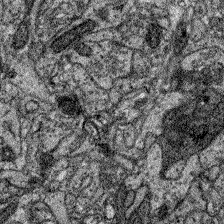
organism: Zebrafish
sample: Larval olfactory bulb